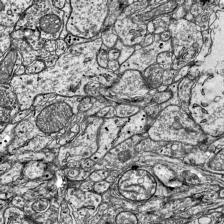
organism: Mouse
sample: Visual Cortex